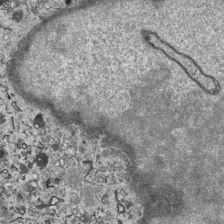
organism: Human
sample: Mitochondria in HCT116 cells